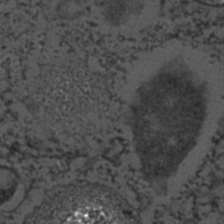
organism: C. elegans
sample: C. elegans embryo